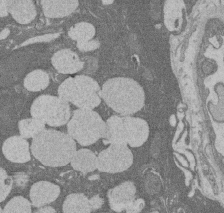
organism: Rat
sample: Salivary granule